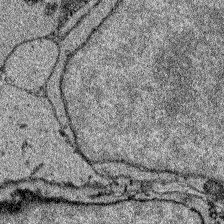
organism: Zebrafish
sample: Larval olfactory bulb